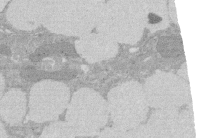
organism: Rat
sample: Salivary granule